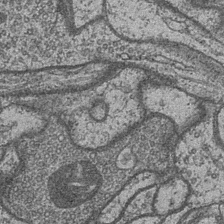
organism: Drosophila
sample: Optic medulla